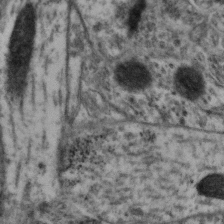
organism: Mouse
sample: Neocortex